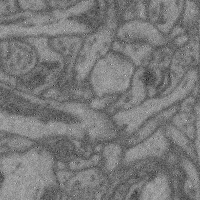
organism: Mouse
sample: Cerebral cortex